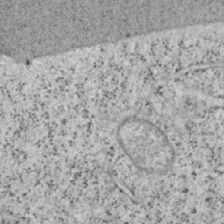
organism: Mouse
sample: OT-I killer T cells with ID8 ovarian cancer cells